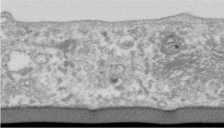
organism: Human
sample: Centriole in RPE cells